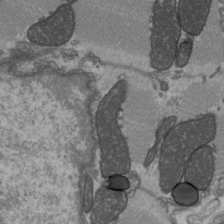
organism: C57BL Mouse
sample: Heart